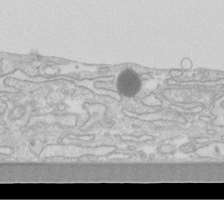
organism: Human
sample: Fibroblast cells